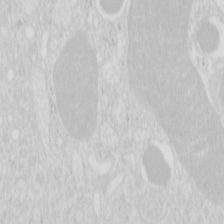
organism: Mouse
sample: Pancreas